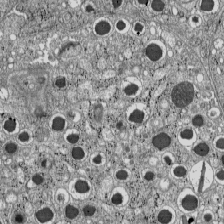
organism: C57BL Mouse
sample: Pancreatic islet